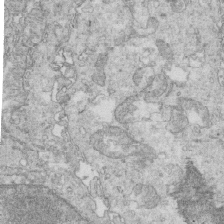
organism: Mouse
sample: Multiciliated cells